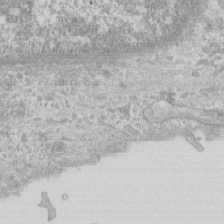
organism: Human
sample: CRL-1474